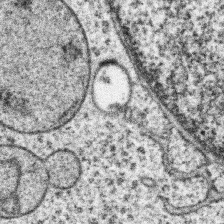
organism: Human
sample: HeLa cells